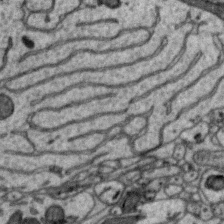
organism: Zebra finch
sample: Brain